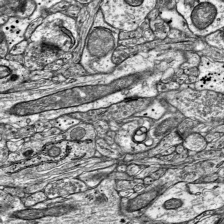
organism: Mouse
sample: Visual Cortex